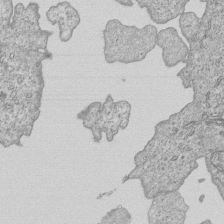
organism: Human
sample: MDA-MB-231 cells